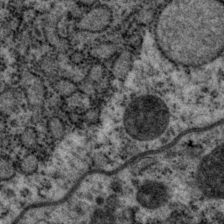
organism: P. pacificus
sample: Pharynx